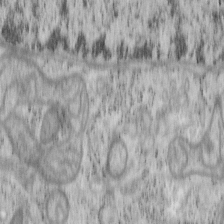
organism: Human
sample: HeLa cells